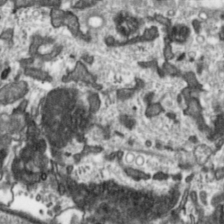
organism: Toxoplasma gondii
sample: Parasites in a vacuole inside a host cell